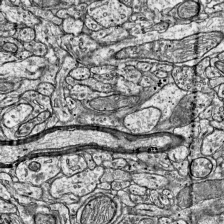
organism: Mouse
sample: Visual Cortex